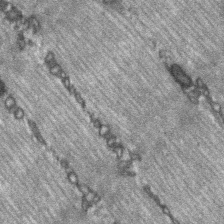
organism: C57BL Mouse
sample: Soleus